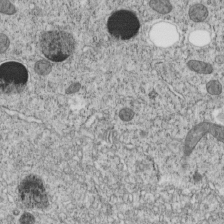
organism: C. elegans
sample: C. elegans embryo early stage